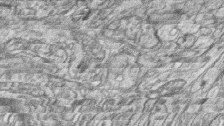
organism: Zebrafish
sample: synaptic ribbons in rod cells and cone cells